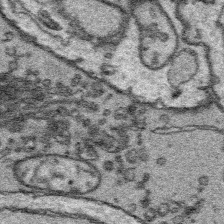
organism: Platynereis dumerilii